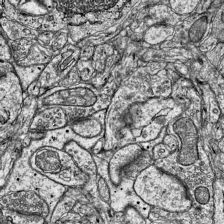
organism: Mouse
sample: Visual Cortex